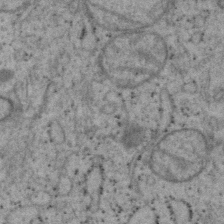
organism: Human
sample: HeLa cells